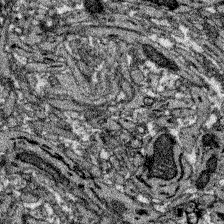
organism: Zebrafish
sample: Larval olfactory bulb